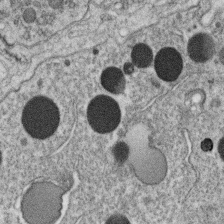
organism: C. elegans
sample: C. elegans oocyte; sperm cells